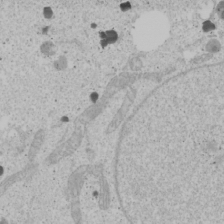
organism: Human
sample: Mitochondria in U2OS cells